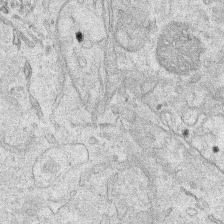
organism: Human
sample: Mitochondria in HCT116 cells